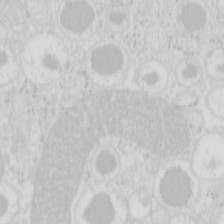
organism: Mouse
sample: Pancreas